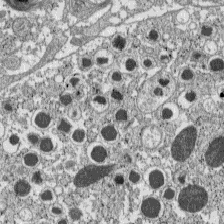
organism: C57BL Mouse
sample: Pancreatic islet